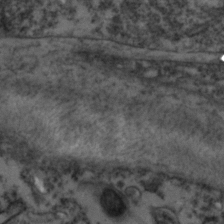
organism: Zebrafish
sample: Zebrafish embryo